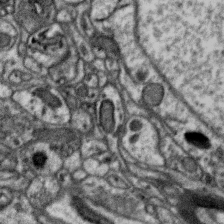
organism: Zebra finch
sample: Brain